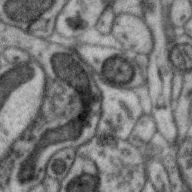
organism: Zebra finch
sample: Brain